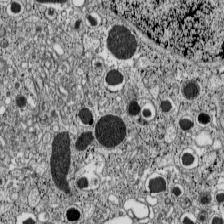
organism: C57BL Mouse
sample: Pancreatic islet